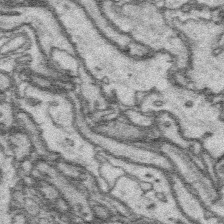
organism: Platynereis dumerilii